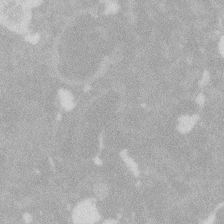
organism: Zebrafish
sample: Macrophage